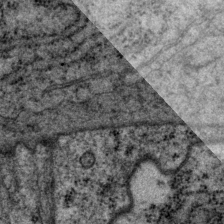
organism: P. pacificus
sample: Pharynx